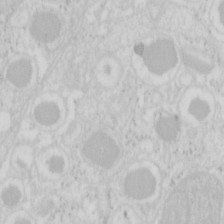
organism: Mouse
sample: Pancreas